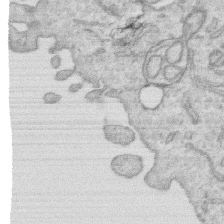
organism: Human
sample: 1205lu cells